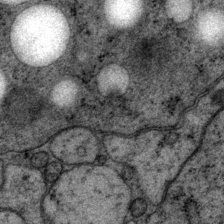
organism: P. pacificus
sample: Pharynx